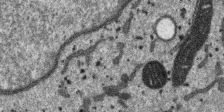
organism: Human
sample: Lung epithelial cells infected with SARS-CoV-2